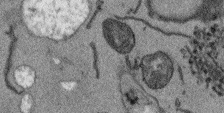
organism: Arabidopsis thaliana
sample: Root tip